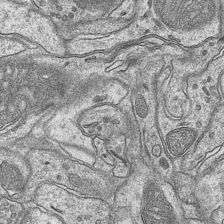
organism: Mouse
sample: CA1 Hippocampus